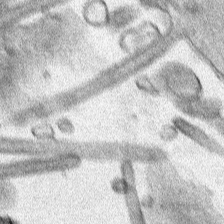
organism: Human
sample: Mitochondria in HCT116 cells